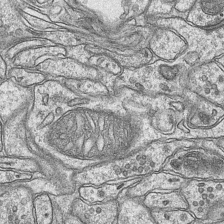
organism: Mouse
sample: CA1 Hippocampus